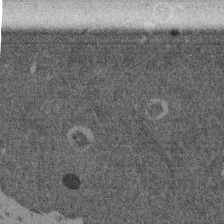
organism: Mouse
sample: Dividing mouse embryo 1 cell stage